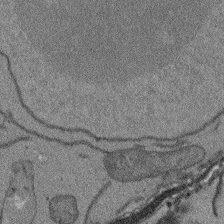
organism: Arabidopsis thaliana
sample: Root tip